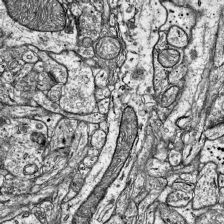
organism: Mouse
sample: Visual Cortex